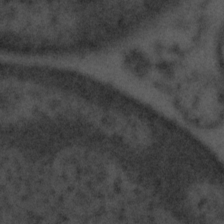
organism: Tuwongella immobilis